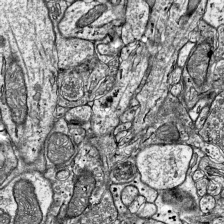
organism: Mouse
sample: Visual Cortex